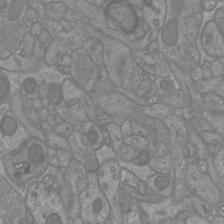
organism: Mouse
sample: Cortical neurons